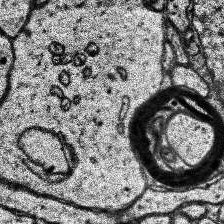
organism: Human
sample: Temporal Lobe